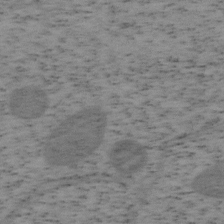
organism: Mouse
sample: OT-I killer T cells with ID8 ovarian cancer cells